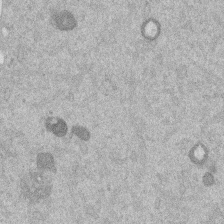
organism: Mouse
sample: Dividing mouse embryo 1 cell stage